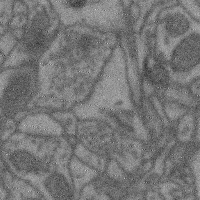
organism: Mouse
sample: Cerebral cortex